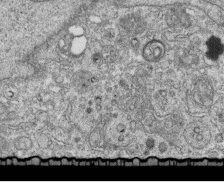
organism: Human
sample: HeLa cell HIV synapse